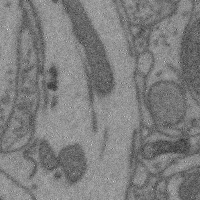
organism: Mouse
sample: Cerebral cortex